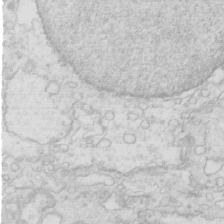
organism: Mouse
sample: Multiciliated cells